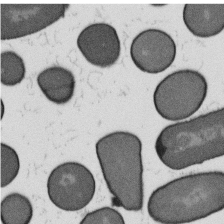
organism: B. subtilis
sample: Bacterial spore